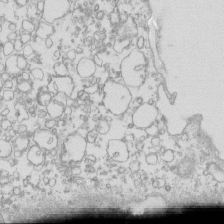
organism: Mouse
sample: Macrophages